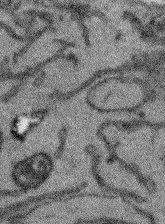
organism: Arabidopsis thaliana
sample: Root tip